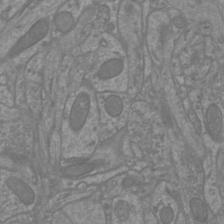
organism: Mouse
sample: Cortical neurons